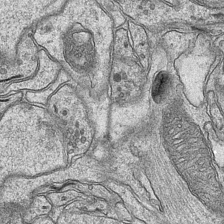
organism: Mouse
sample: CA1 Hippocampus